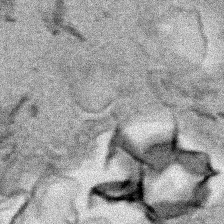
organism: Human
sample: Mitochondria in HCT116 cells